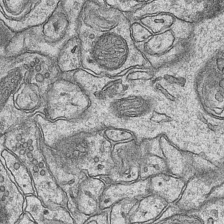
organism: Mouse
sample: CA1 Hippocampus